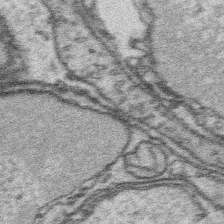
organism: Platynereis dumerilii